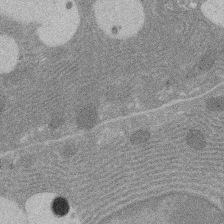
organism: Rat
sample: Salivary granule